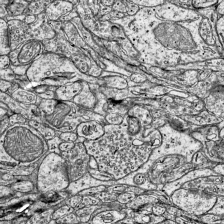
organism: Mouse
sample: Visual Cortex